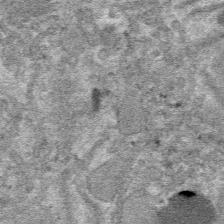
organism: Mouse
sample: Mouse hepatocytes